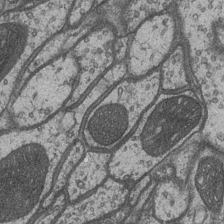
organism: Drosophila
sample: Optic medulla